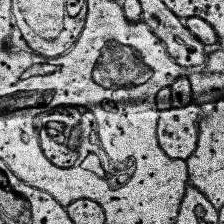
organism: Human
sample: Temporal Lobe